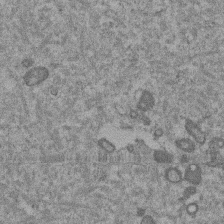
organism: Mouse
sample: Dividing mouse embryo 1 cell stage